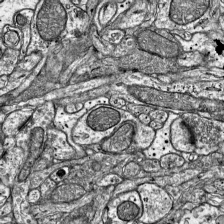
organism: Mouse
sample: Visual Cortex